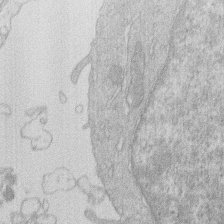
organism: Human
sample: Macrophage cells